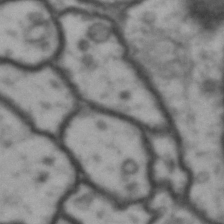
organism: Drosophila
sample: Brain